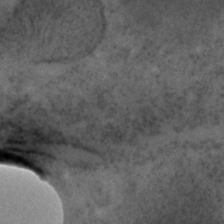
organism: C. elegans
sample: C. elegans embryo